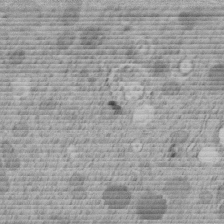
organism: C. elegans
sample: C. elegans embryo early stage